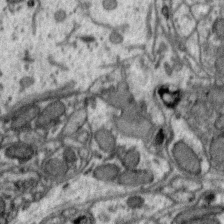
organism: Zebra finch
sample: Brain